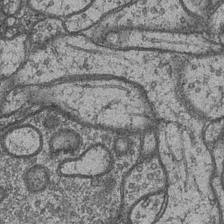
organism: Drosophila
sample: Optic medulla